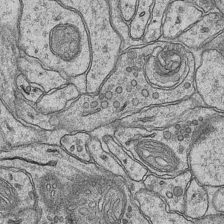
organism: Mouse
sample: CA1 Hippocampus